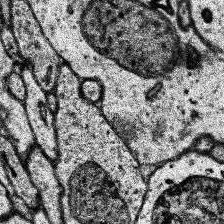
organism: Human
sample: Temporal Lobe